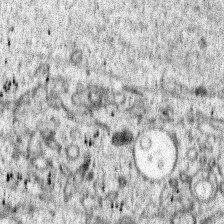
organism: Human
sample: HeLa cells